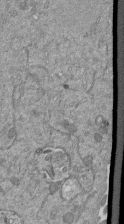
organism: Mouse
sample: ED-1 cell nuclei; centrioles